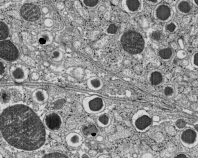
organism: C57BL Mouse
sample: Pancreatic islet